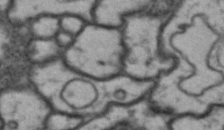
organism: Drosophila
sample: Brain